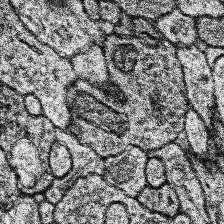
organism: Human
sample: Temporal Lobe